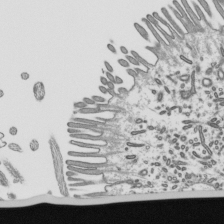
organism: Mouse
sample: Mouse epididymis efferent ductule cilia